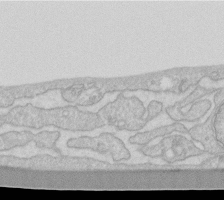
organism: Human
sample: Fibroblast cells